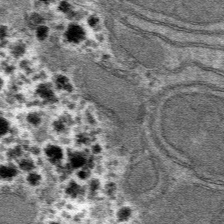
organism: Mouse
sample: Mouse hepatocytes